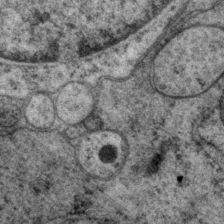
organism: P. pacificus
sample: Pharynx